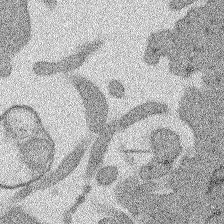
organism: Human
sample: HeLa cells